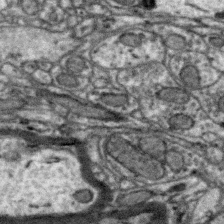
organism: Zebra finch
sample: Brain